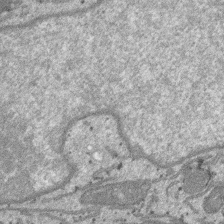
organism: Human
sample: Lung epithelial cells infected with SARS-CoV-2